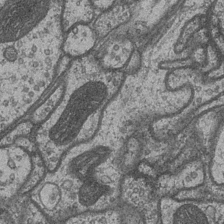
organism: Drosophila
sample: Optic medulla